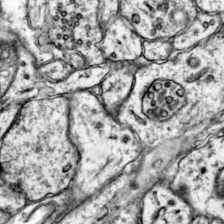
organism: Mouse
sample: Primary visual cortex